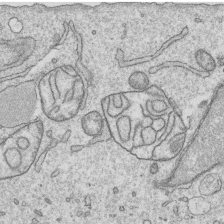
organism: Human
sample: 1205lu cells